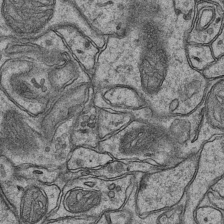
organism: Mouse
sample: CA1 Hippocampus